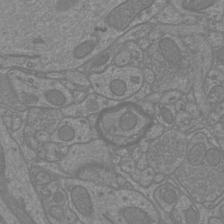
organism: Mouse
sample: Cortical neurons